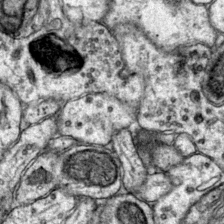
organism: Mouse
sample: Primary visual cortex